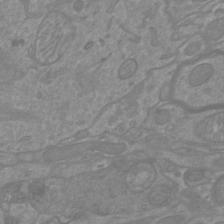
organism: Mouse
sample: Cortical neurons